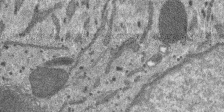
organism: Human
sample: Lung epithelial cells infected with SARS-CoV-2